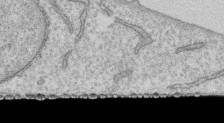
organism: Human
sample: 1205lu cells